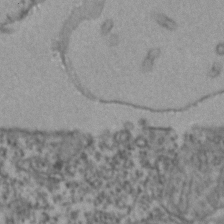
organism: Zebrafish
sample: Zebrafish embryo